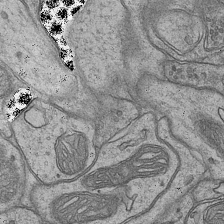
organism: Mouse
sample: CA1 Hippocampus